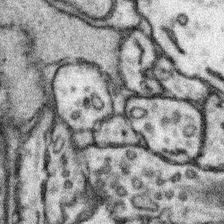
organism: Mouse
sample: Somatosensory cortex neuropil